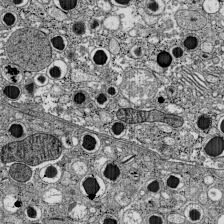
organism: C57BL Mouse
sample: Pancreatic islet